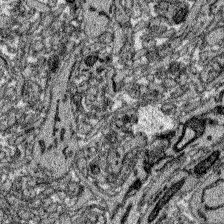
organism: Zebrafish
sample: Larval olfactory bulb